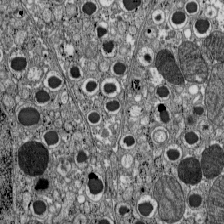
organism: C57BL Mouse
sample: Pancreatic islet